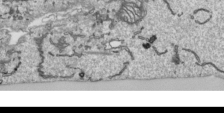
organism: Human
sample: Mitochondria in HCT116 cells